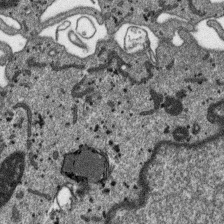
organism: Human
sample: Lung epithelial cells infected with SARS-CoV-2